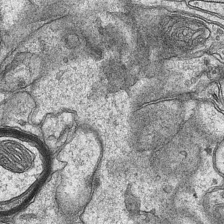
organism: Mouse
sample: CA1 Hippocampus